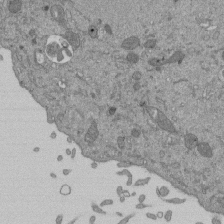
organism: Mouse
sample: ED-1 cell nuclei; centrioles